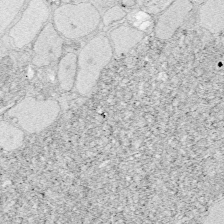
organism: Zebrafish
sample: Whole-Brain